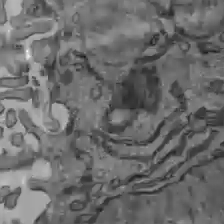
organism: C57BL Mouse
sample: Liver